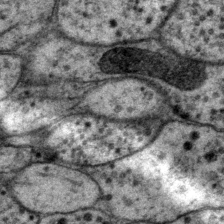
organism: P. pacificus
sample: Pharynx